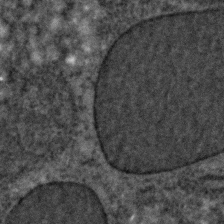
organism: C. elegans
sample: C. elegans embryo